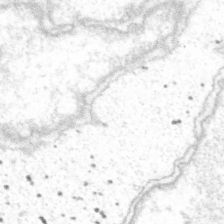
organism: Human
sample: HeLa cells